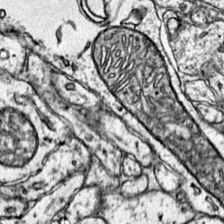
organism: Mouse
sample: Primary visual cortex